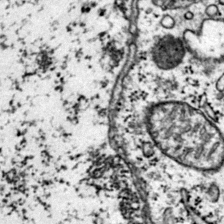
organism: Mouse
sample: Primary visual cortex